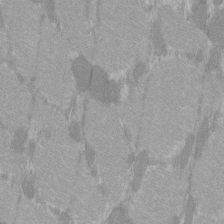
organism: C57BL Mouse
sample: Tibialis anterior muscle cell